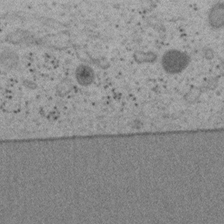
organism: Human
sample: HeLa cells